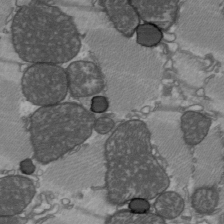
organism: C57BL Mouse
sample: Heart